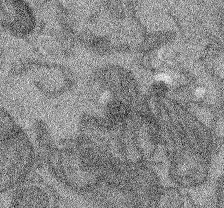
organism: Human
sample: HeLa cells